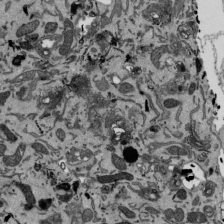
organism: Mouse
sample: ED-1 cell nuclei; centrioles